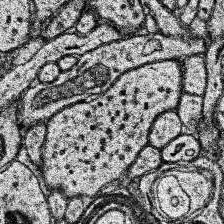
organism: Human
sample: Temporal Lobe